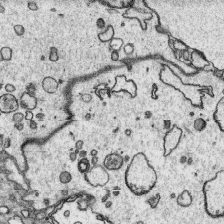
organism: Platynereis dumerilii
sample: Parapodia